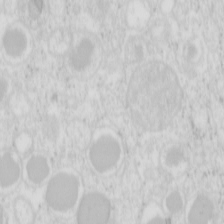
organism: Mouse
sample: Pancreas